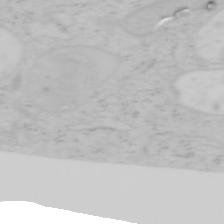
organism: Mouse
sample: OT-I killer T cells with ID8 ovarian cancer cells